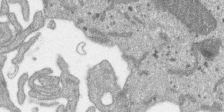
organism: Human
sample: Lung epithelial cells infected with SARS-CoV-2